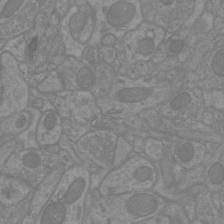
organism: Mouse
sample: Cortical neurons